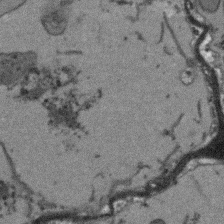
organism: Arabidopsis thaliana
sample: Root tip